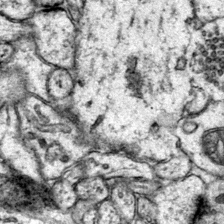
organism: Mouse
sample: Primary visual cortex